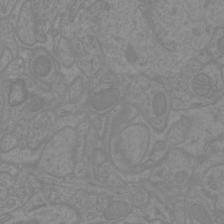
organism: Mouse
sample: Cortical neurons